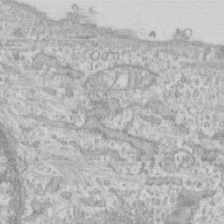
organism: Human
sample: CRL-1474